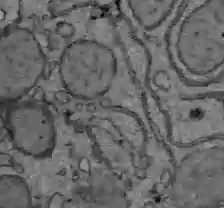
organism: C57BL Mouse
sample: Liver